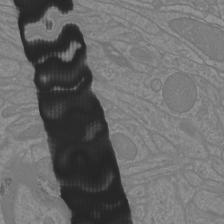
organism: Mouse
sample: Cortical neurons